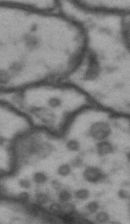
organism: Drosophila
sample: Brain